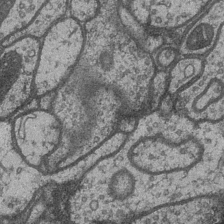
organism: Drosophila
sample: Optic medulla